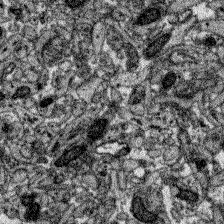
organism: Zebrafish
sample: Larval olfactory bulb